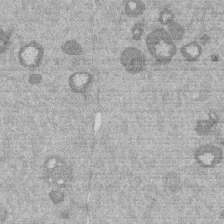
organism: Mouse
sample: Dividing mouse embryo 1 cell stage